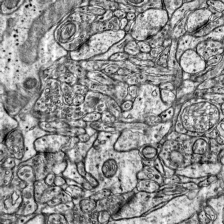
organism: Mouse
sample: Visual Cortex